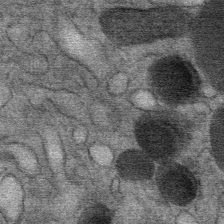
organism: Mouse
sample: Mouse Salivary gland